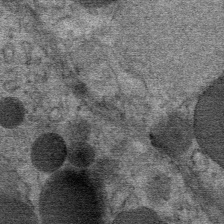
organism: Mouse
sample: Mouse Salivary gland